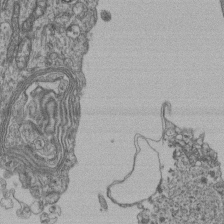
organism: Human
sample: Retinal organoid Rod and Cone cells